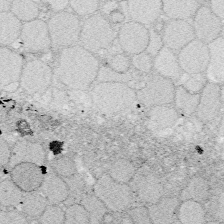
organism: Zebrafish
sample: Whole-Brain